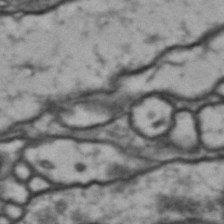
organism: Drosophila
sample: Brain